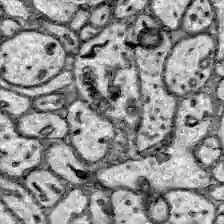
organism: Zebrafish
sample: Brain